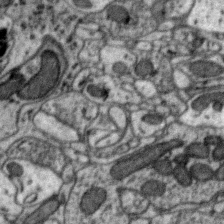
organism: Zebra finch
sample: Brain